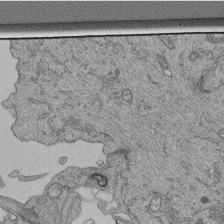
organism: Human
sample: Retinal organoid Rod and Cone cells